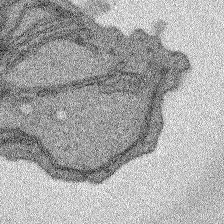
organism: Human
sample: HeLa cells